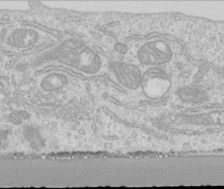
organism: Human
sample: Centriole in RPE cells